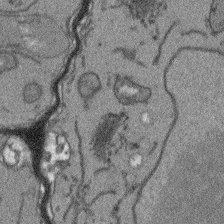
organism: Arabidopsis thaliana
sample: Root tip